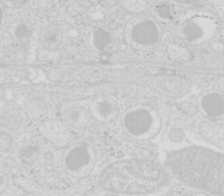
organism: Mouse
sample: Pancreas